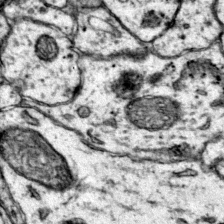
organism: Mouse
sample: Primary visual cortex